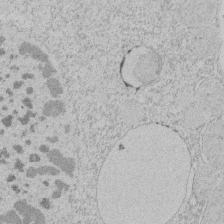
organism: Tetrahymena